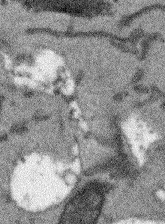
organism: Arabidopsis thaliana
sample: Root tip